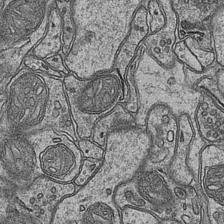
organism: Mouse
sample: CA1 Hippocampus